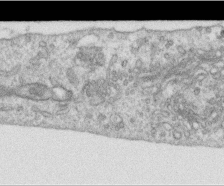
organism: Human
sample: Centriole in RPE cells